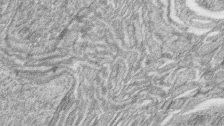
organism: Zebrafish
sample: synaptic ribbons in rod cells and cone cells